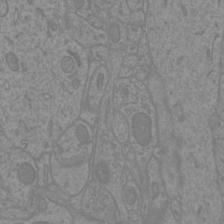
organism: Mouse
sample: Cortical neurons